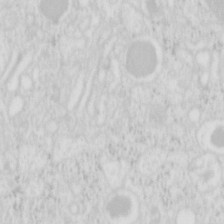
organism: Mouse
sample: Pancreas